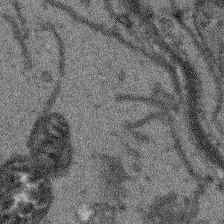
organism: Arabidopsis thaliana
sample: Root tip